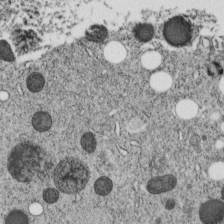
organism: C. elegans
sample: C. elegans embryo early stage